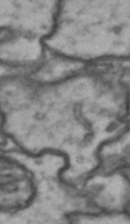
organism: Drosophila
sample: Brain